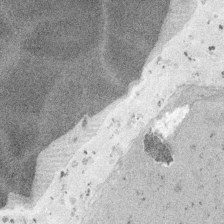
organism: Embia sp.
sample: Silk gland